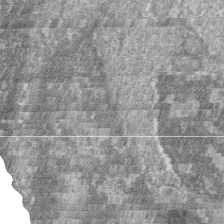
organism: Zebrafish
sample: Cilia; retinal pigment epithelium